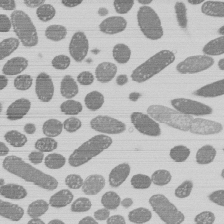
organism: E. coli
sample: Bacterial nucleoid